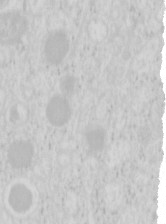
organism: Mouse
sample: Pancreas